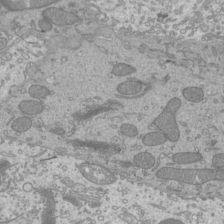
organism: Mouse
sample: Cilia; mouse epididymis